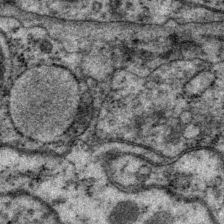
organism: P. pacificus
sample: Pharynx